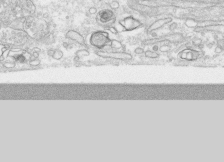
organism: Human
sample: CRL-1474